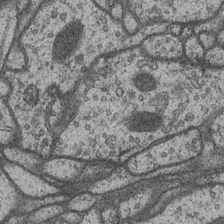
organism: Drosophila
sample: Optic medulla